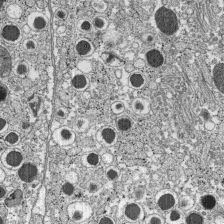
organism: C57BL Mouse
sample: Pancreatic islet